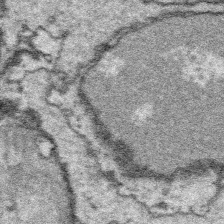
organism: Platynereis dumerilii